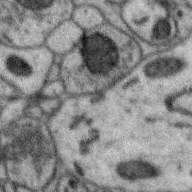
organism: Zebra finch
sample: Brain